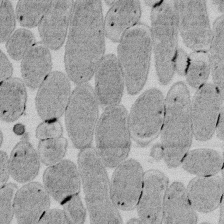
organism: E. coli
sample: Bacterial nucleoid